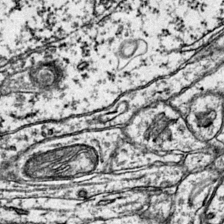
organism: Mouse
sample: Primary visual cortex